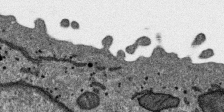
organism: Human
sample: Lung epithelial cells, uninfected (mock) control